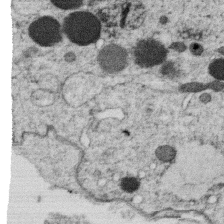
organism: C. elegans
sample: C. elegans oocyte; sperm cells